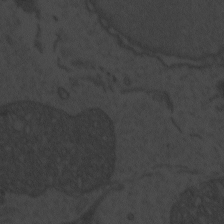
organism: Zebrafish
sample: Macrophage infected with Toxoplasma gondii